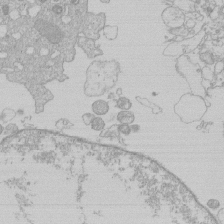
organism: Human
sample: Macrophage cells